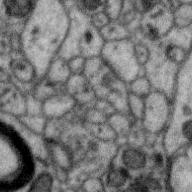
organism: Zebra finch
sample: Brain